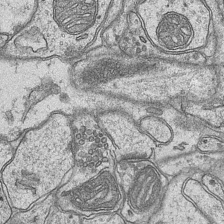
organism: Mouse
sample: CA1 Hippocampus